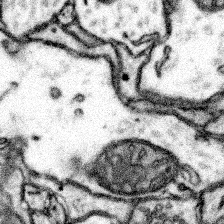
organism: Mouse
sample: Somatosensory cortex neuropil